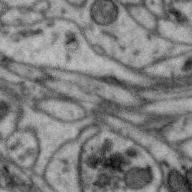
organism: Zebra finch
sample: Brain